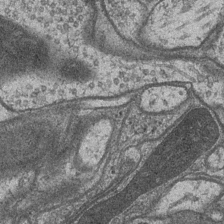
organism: Drosophila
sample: Optic medulla